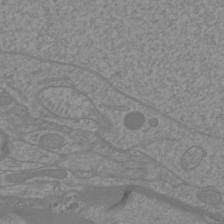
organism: Mouse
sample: Cortical neurons